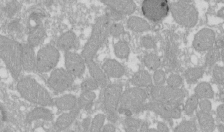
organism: Xenopus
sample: Cilia; centrioles in frog embryo cells